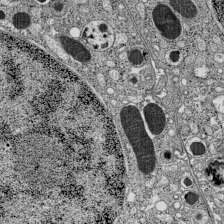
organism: C57BL Mouse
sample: Pancreatic islet